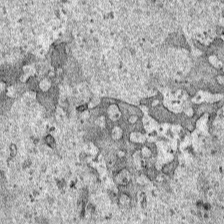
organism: Human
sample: Mitochondria in HCT116 cells